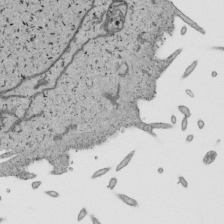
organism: Human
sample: Mitochondria in HCT116 cells